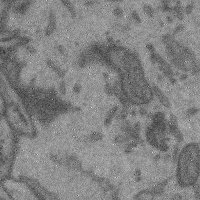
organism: Mouse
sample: Cerebral cortex